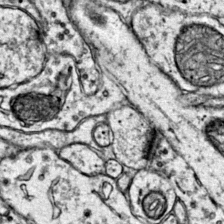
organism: Mouse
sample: Primary visual cortex